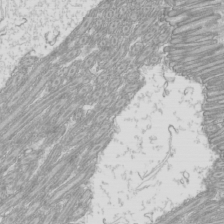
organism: Mouse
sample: Cilia; mouse epididymis